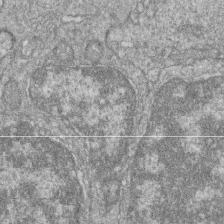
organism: Zebrafish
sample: Cilia; retinal pigment epithelium